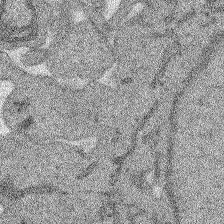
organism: Human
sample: HeLa cells